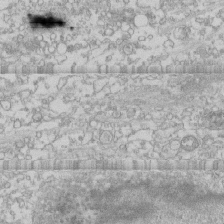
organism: Human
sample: CRL-1474